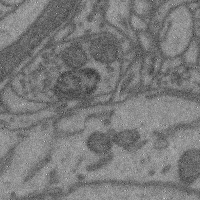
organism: Mouse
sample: Cerebral cortex